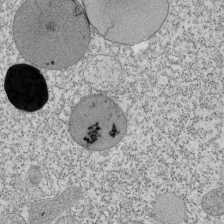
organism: Tetrahymena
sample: Cilia in tetrahymena